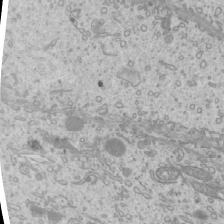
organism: Mouse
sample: Cilia; mouse epididymis